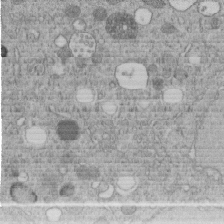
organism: C. elegans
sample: C. elegans embryo early stage